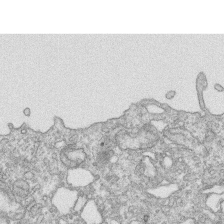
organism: Human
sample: HeLa cell HIV synapse